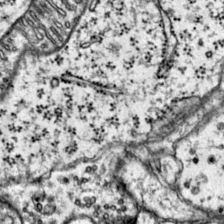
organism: Mouse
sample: Primary visual cortex